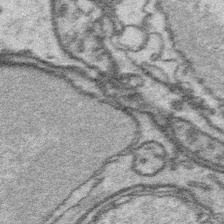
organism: Platynereis dumerilii